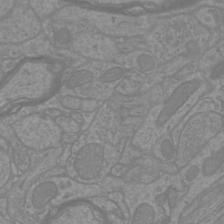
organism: Mouse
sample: Cortical neurons